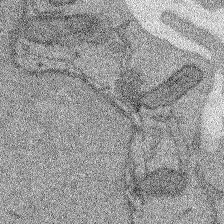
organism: Human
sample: HeLa cells